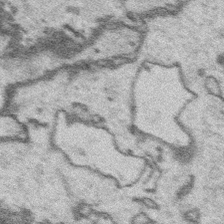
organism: Platynereis dumerilii